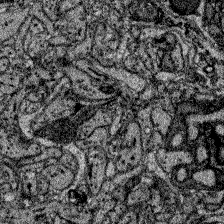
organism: Zebrafish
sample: Larval olfactory bulb